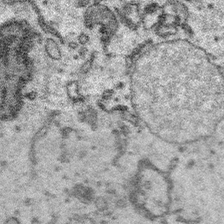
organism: Platynereis dumerilii